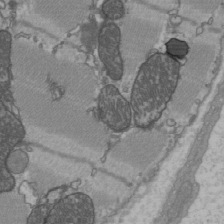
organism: C57BL Mouse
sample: Heart